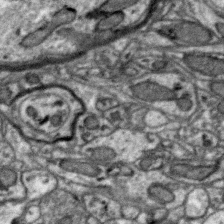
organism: Zebra finch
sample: Brain